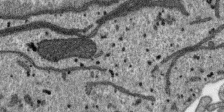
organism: Human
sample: Lung epithelial cells, uninfected (mock) control